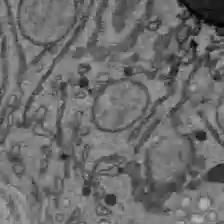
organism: C57BL Mouse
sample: Liver